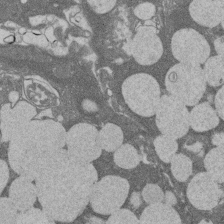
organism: Rat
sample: Salivary granule